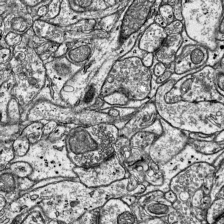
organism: Mouse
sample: Visual Cortex